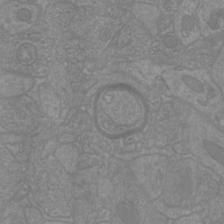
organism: Mouse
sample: Cortical neurons